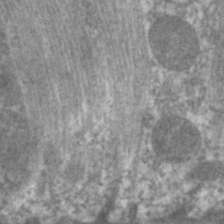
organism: C. elegans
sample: Pharynx